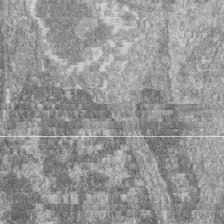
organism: Zebrafish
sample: Cilia; retinal pigment epithelium